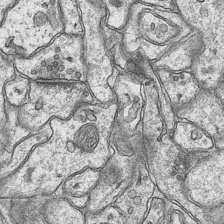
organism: Mouse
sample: CA1 Hippocampus